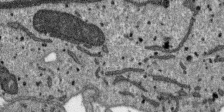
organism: Human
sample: Lung epithelial cells, uninfected (mock) control